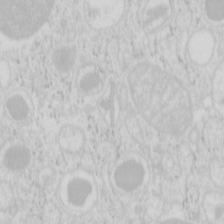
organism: Mouse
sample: Pancreas